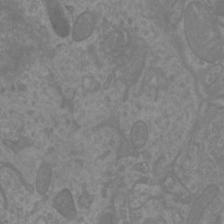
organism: Mouse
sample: Cortical neurons